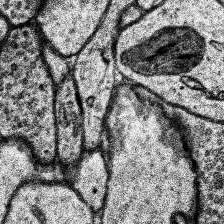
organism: Human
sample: Temporal Lobe